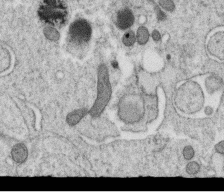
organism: C. elegans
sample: C. elegans oocyte; sperm cells